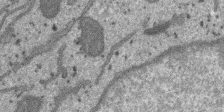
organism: Human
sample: Lung epithelial cells infected with SARS-CoV-2